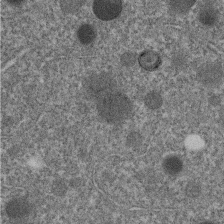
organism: C. elegans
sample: C. elegans embryo early stage